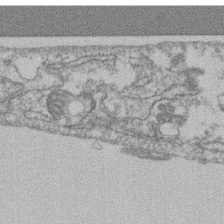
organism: Mouse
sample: T cell stromal cell synapse